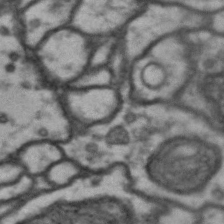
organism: Drosophila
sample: Brain